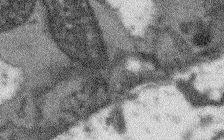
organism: Arabidopsis thaliana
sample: Root tip